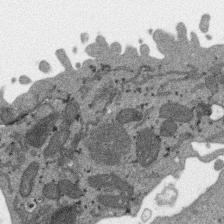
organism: Human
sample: Lung epithelial cells infected with SARS-CoV-2